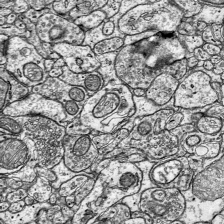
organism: Mouse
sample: Visual Cortex